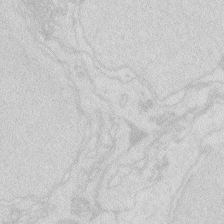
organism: Zebrafish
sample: Macrophage